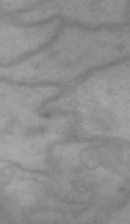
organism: Drosophila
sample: Brain